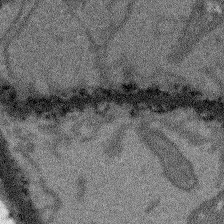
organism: Arabidopsis thaliana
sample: Root tip